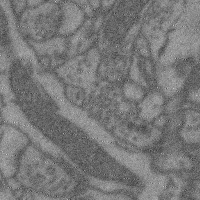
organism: Mouse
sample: Cerebral cortex